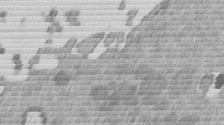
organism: Mouse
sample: Dividing mouse embryo 1 cell stage